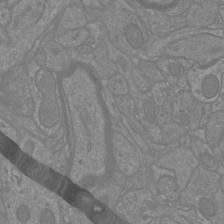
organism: Mouse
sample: Cortical neurons